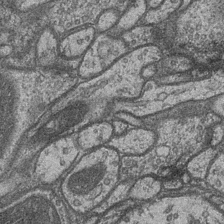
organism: Drosophila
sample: Optic medulla